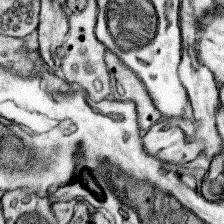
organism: Mouse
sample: Somatosensory cortex neuropil